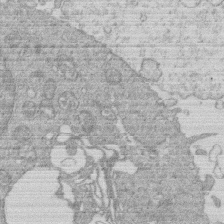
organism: Human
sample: Macrophage cells